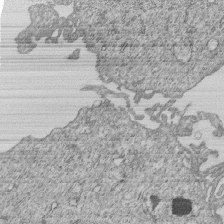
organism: Human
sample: MDA-MB-231 cells